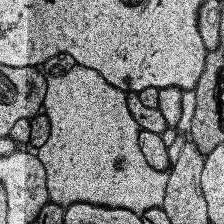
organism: Human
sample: Temporal Lobe